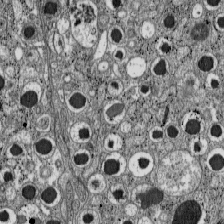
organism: C57BL Mouse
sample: Pancreatic islet